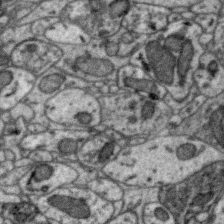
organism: Zebra finch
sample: Brain